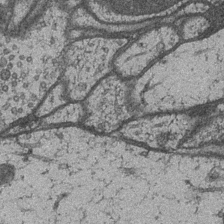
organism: Drosophila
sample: Optic medulla